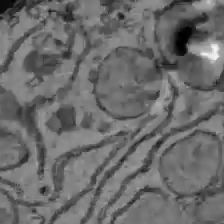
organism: C57BL Mouse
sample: Liver